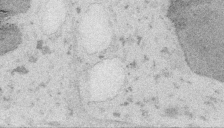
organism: Embia sp.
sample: Silk gland